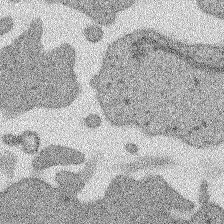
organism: Human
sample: HeLa cells